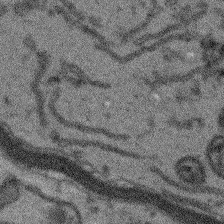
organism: Arabidopsis thaliana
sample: Root tip